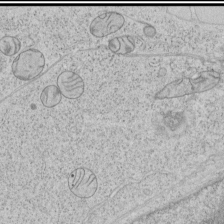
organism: Human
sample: Mitochondria in HCT116 cells